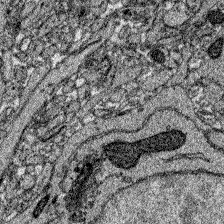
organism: Zebrafish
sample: Larval olfactory bulb